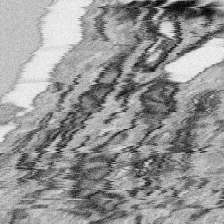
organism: Human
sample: HeLa cells